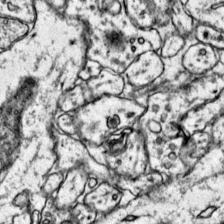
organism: Mouse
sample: Primary visual cortex